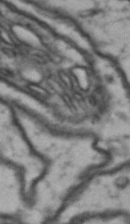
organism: Drosophila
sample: Brain